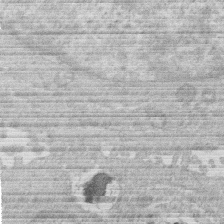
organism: Human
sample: Macrophage cells